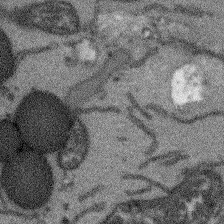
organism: Arabidopsis thaliana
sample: Root tip